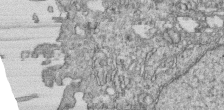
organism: Human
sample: HeLa cell HIV synapse